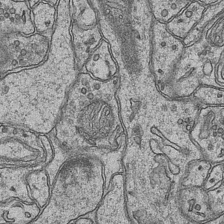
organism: Mouse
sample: CA1 Hippocampus